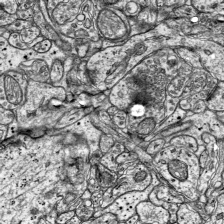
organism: Mouse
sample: Visual Cortex